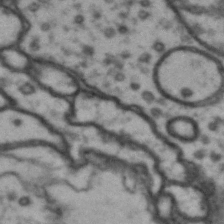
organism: Drosophila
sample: Brain